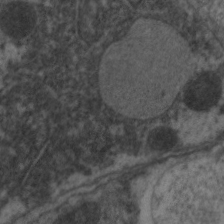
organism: C. elegans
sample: Pharynx